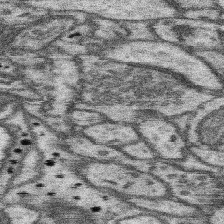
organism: Mouse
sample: Somatosensory cortex neuropil